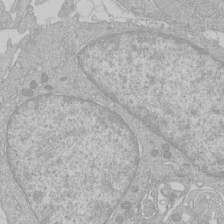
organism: Human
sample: Macrophage cells